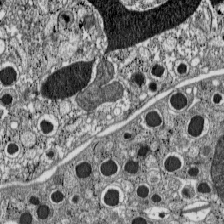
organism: C57BL Mouse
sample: Pancreatic islet